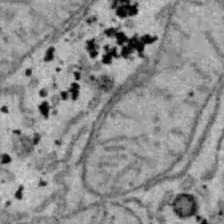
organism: Mouse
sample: Liver from an obese (ob/ob) mouse